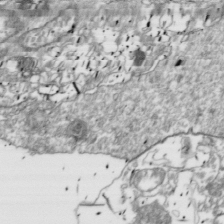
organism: Drosophila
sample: Cell division; meiosis; drosophila spermatocytes